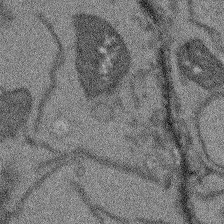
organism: Arabidopsis thaliana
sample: Root tip